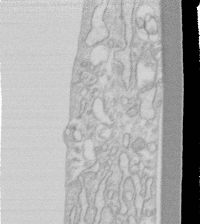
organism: Human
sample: Fibroblast cells